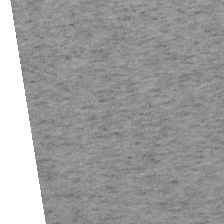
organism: Mouse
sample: OT-I killer T cells with ID8 ovarian cancer cells